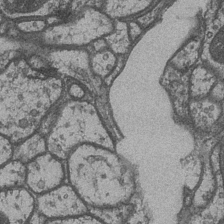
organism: Drosophila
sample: Optic medulla